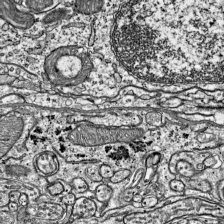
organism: Mouse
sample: Visual Cortex